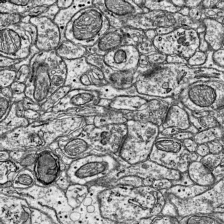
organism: Mouse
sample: Visual Cortex